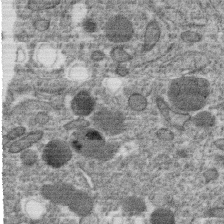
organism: C. elegans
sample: C. elegans oocyte; sperm cells